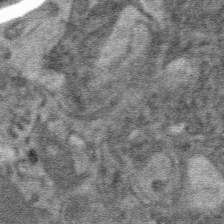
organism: Mouse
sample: Mouse hepatocytes